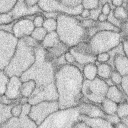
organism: Rabbit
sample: Retina